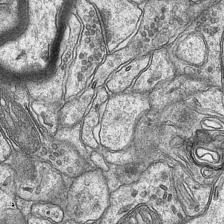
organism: Mouse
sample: CA1 Hippocampus